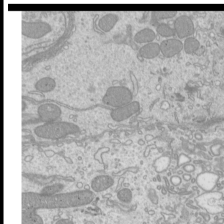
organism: Mouse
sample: Cilia; mouse epididymis